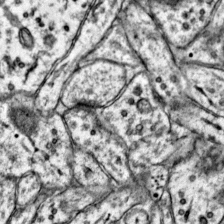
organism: Mouse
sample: Primary visual cortex